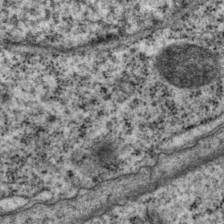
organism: P. pacificus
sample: Pharynx